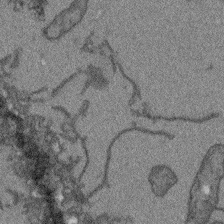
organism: Arabidopsis thaliana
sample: Root tip